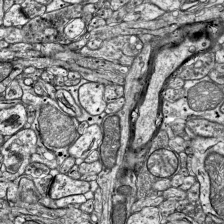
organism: Mouse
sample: Visual Cortex